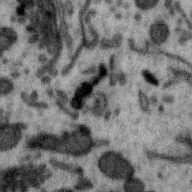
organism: Zebra finch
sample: Brain